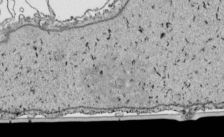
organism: Human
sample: Mitochondria in HCT116 cells